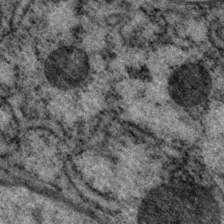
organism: P. pacificus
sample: Pharynx